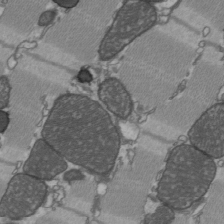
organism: C57BL Mouse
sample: Heart